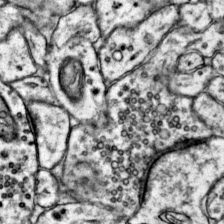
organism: Mouse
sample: Primary visual cortex